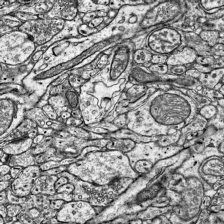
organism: Mouse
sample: Visual Cortex